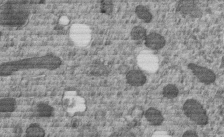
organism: C. elegans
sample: C. elegans embryo early stage